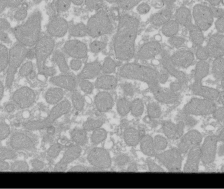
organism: Xenopus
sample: Cilia; centrioles in frog embryo cells